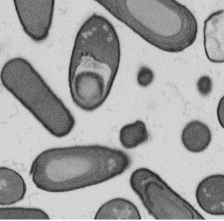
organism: B. subtilis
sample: Bacterial spore